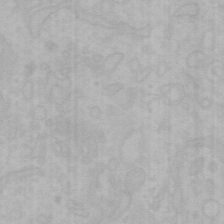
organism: Mouse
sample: Choroid plexus